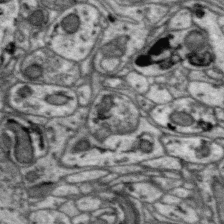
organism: Zebra finch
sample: Brain